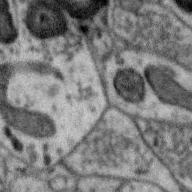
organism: Zebra finch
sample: Brain